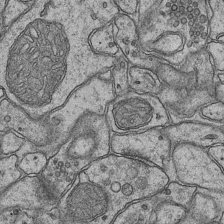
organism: Mouse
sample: CA1 Hippocampus